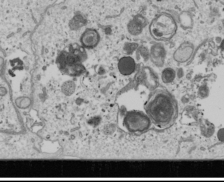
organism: Human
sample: Mitochondria in U2OS cells